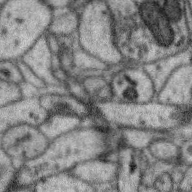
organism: Zebra finch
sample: Brain